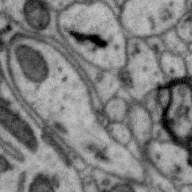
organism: Zebra finch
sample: Brain